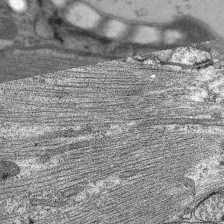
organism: C. elegans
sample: Pharynx